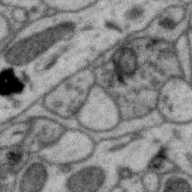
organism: Zebra finch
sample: Brain